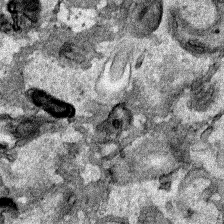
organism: Human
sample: Mitochondria in HCT116 cells